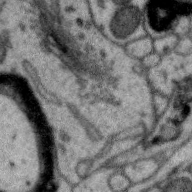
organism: Zebra finch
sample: Brain